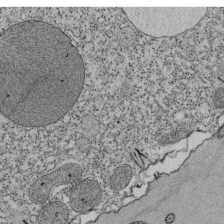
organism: Tetrahymena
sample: Cilia in tetrahymena